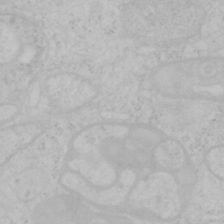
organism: Mouse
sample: OT-I killer T cells with ID8 ovarian cancer cells